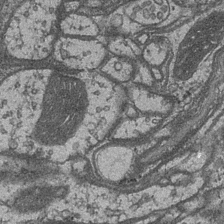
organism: Drosophila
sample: Optic medulla